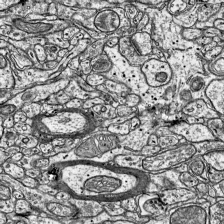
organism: Mouse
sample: Visual Cortex